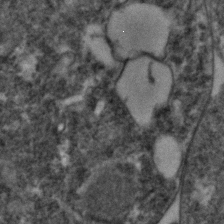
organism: Zebrafish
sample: Zebrafish embryo